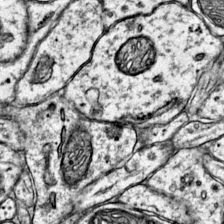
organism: Mouse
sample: Primary visual cortex